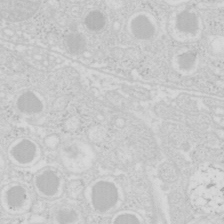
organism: Mouse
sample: Pancreas